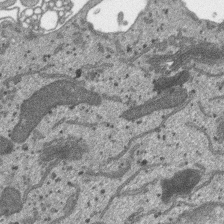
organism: Human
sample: Lung epithelial cells infected with SARS-CoV-2